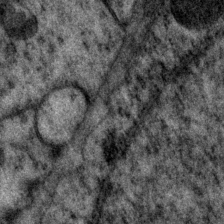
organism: P. pacificus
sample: Pharynx